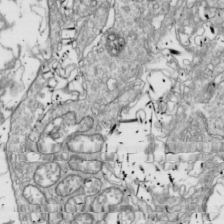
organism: Drosophila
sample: Cell division; meiosis; drosophila spermatocytes